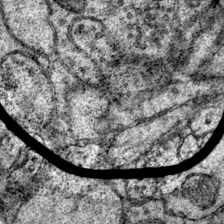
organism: Mouse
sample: Primary visual cortex